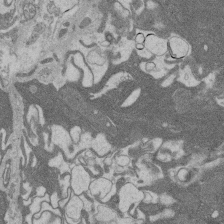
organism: Rat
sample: Salivary granule